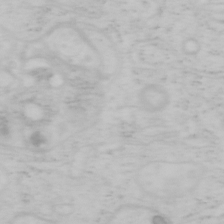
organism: Mouse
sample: OT-I killer T cells with ID8 ovarian cancer cells